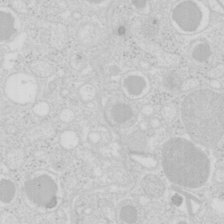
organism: Mouse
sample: Pancreas